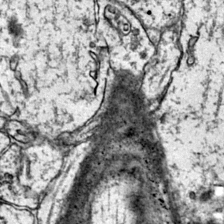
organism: Mouse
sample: Primary visual cortex